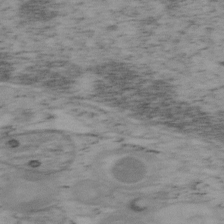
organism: Mouse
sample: OT-I killer T cells with ID8 ovarian cancer cells